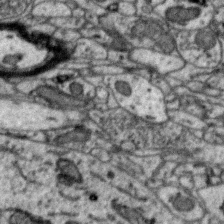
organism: Zebra finch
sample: Brain